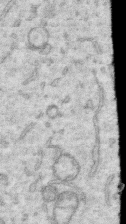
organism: Human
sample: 1205lu cells